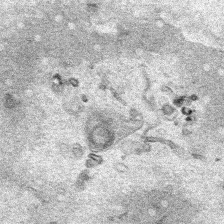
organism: Human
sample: Mitochondria in HCT116 cells